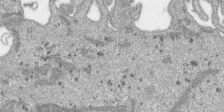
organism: Human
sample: Lung epithelial cells infected with SARS-CoV-2